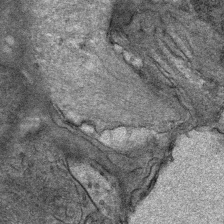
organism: Mouse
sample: Mouse Salivary gland